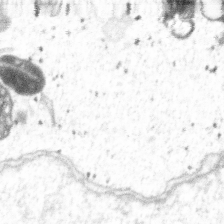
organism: Human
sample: HeLa cells